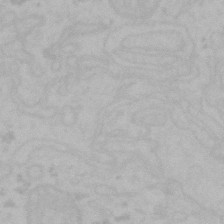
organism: Mouse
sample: Choroid plexus